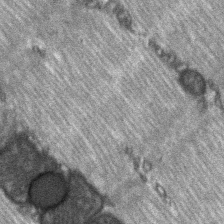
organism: C57BL Mouse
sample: Soleus